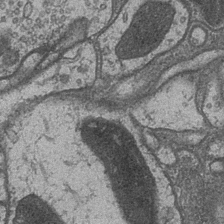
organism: Drosophila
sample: Optic medulla